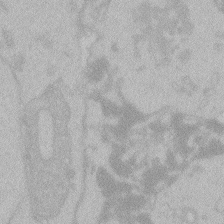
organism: Zebrafish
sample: Macrophage infected with Toxoplasma gondii